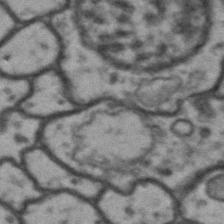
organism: Drosophila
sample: Brain